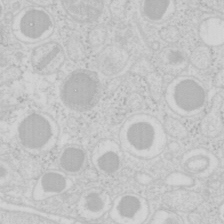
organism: Mouse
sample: Pancreas